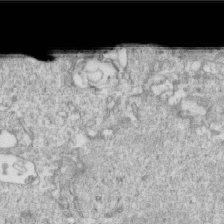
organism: Mouse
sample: Activated OT-1 CD8+ T cells